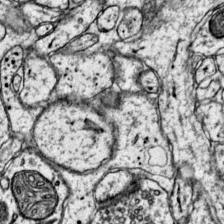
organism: Mouse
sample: Primary visual cortex